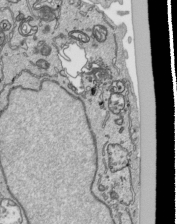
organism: Human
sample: Mitochondria in HCT116 cells